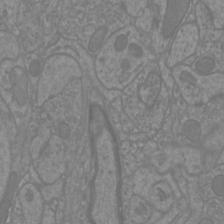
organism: Mouse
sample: Cortical neurons